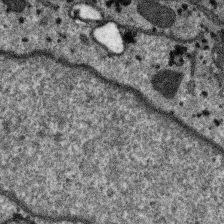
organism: Human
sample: Lung epithelial cells infected with SARS-CoV-2